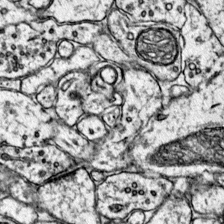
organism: Mouse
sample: Primary visual cortex